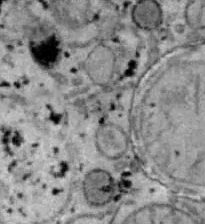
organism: Mouse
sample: Liver from an obese (ob/ob) mouse